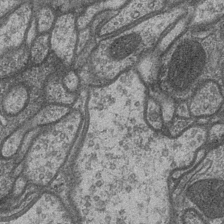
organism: Drosophila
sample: Optic medulla